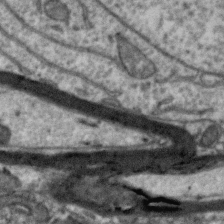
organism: Zebra finch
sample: Brain